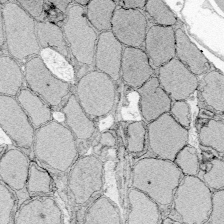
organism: Zebrafish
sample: Whole-Brain